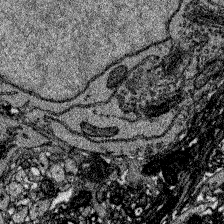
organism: Zebrafish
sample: Larval olfactory bulb